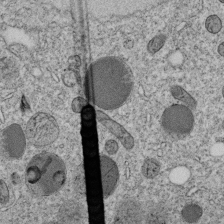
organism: C. elegans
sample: C. elegans embryo early stage